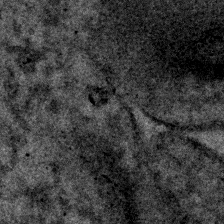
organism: Human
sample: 1205lu cells